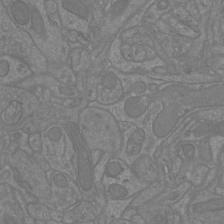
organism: Mouse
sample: Cortical neurons